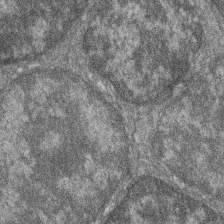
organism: Zebrafish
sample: Cilia; retinal pigment epithelium